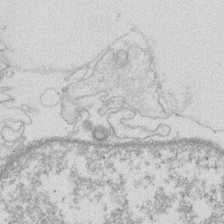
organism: Human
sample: Macrophage cells